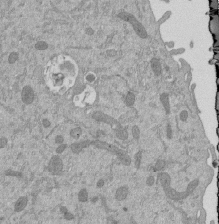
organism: Mouse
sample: ED-1 cell nuclei; centrioles